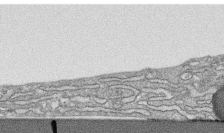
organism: Human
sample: CRL-1474